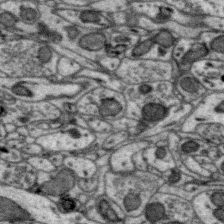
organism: Zebra finch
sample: Brain